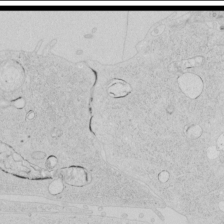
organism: Human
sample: Mitochondria in HCT116 cells